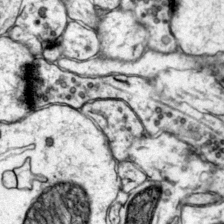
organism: Mouse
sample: Primary visual cortex